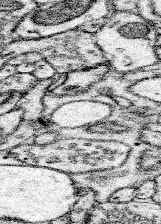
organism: Mouse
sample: Somatosensory cortex neuropil